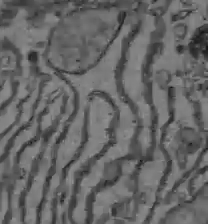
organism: C57BL Mouse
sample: Liver